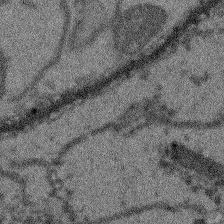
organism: Arabidopsis thaliana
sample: Root tip